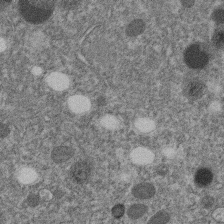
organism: C. elegans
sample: C. elegans embryo early stage